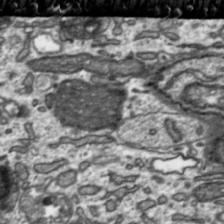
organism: Toxoplasma gondii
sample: Parasites in a vacuole inside a host cell